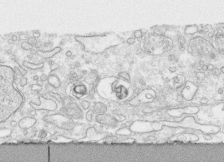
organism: Human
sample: CRL-1474